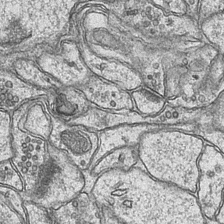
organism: Mouse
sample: CA1 Hippocampus